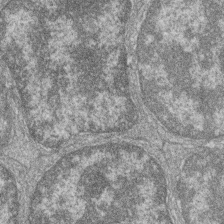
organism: Zebrafish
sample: Cilia; retinal pigment epithelium